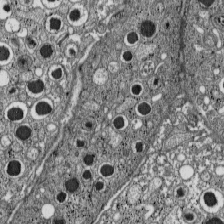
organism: C57BL Mouse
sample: Pancreatic islet